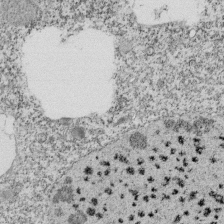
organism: Tetrahymena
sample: Cilia in tetrahymena